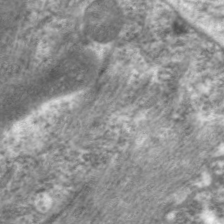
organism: C. elegans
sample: Pharynx